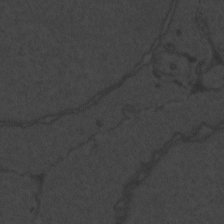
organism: Zebrafish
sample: Macrophage infected with Toxoplasma gondii